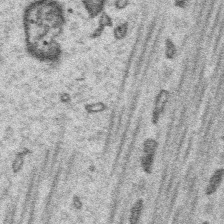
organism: Platynereis dumerilii